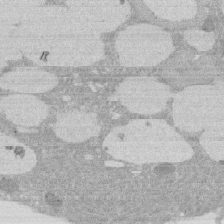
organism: Rat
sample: Salivary granule